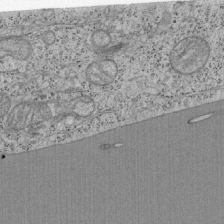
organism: Human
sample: HeLa cells